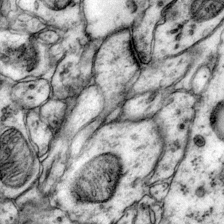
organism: Mouse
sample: Primary visual cortex